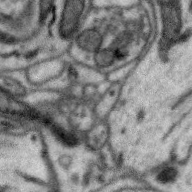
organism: Zebra finch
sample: Brain